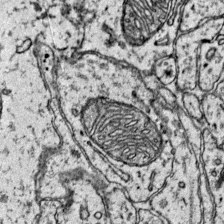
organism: Mouse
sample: Primary visual cortex